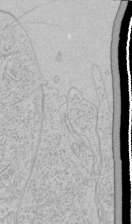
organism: Human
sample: Mitochondria in HCT116 cells